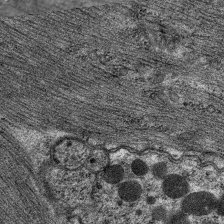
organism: C. elegans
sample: Pharynx